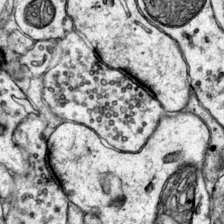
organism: Mouse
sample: Primary visual cortex